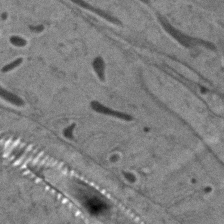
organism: C. elegans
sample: C. elegans embryo